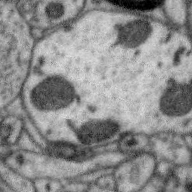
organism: Zebra finch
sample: Brain